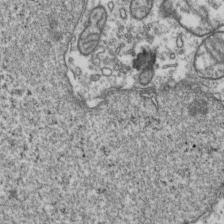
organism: Human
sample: Activated Jurkat CD4+ T cells